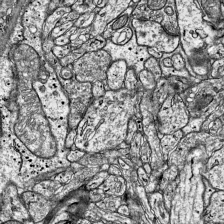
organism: Mouse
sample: Visual Cortex